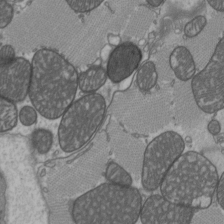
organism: C57BL Mouse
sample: Heart